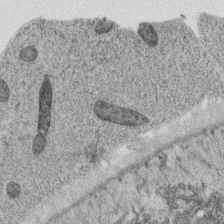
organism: C. elegans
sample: C. elegans oocyte; sperm cells